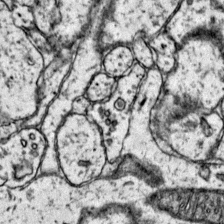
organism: Mouse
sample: Primary visual cortex